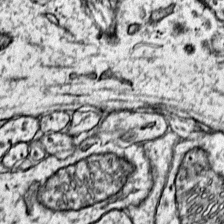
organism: Mouse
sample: Primary visual cortex